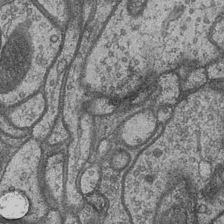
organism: Drosophila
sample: Optic medulla